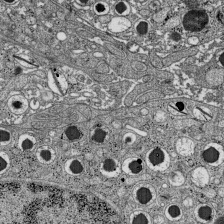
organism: C57BL Mouse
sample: Pancreatic islet